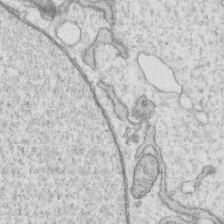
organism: Human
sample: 1205lu cells